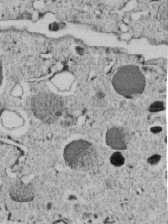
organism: C. elegans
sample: C. elegans embryo early stage